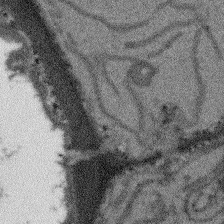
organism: Arabidopsis thaliana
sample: Root tip